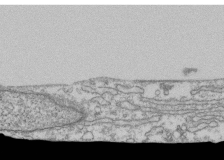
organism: Human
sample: Fibroblast cells